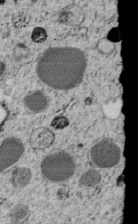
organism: C. elegans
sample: C. elegans embryo early stage